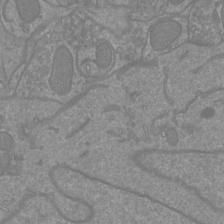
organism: Mouse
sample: Cortical neurons